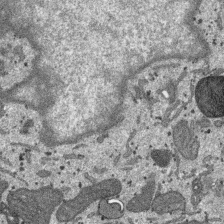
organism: Human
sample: Lung epithelial cells infected with SARS-CoV-2